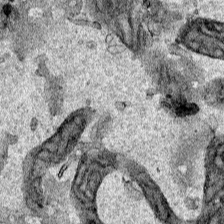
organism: Human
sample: Mitochondria in HCT116 cells